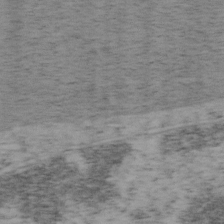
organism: Mouse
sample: OT-I killer T cells with ID8 ovarian cancer cells